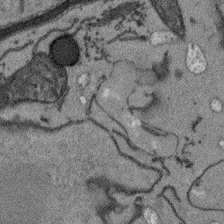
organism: Arabidopsis thaliana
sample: Root tip